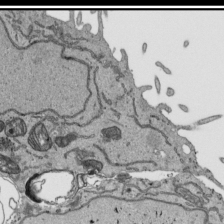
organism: Human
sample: Mitochondria in HCT116 cells